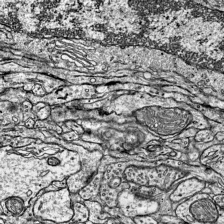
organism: Mouse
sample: Visual Cortex